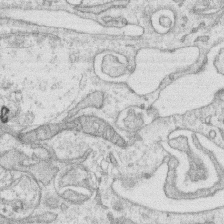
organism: Human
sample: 1205lu cells